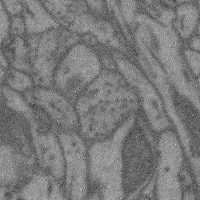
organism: Mouse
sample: Cerebral cortex